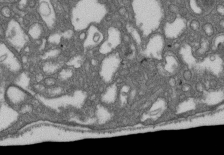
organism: Drosophila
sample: Nephrocyte